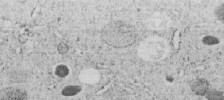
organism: C. elegans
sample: C. elegans embryo early stage